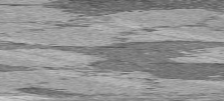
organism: C57BL Mouse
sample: Heart